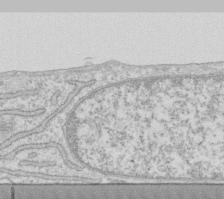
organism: Human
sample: Fibroblast cells